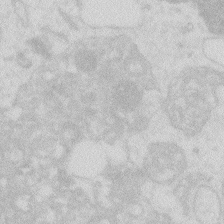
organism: Zebrafish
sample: Macrophage